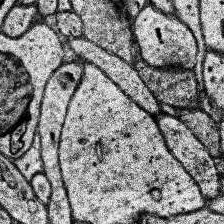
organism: Human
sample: Temporal Lobe